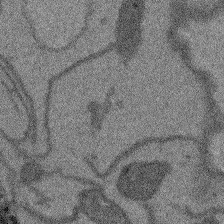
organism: Arabidopsis thaliana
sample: Root tip